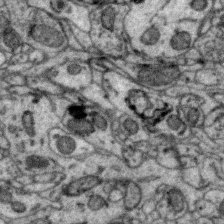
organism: Zebra finch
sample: Brain